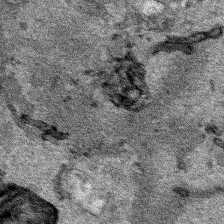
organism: Human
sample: Mitochondria in HCT116 cells